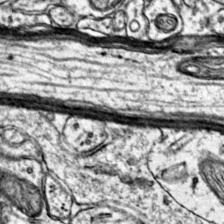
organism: Mouse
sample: Primary visual cortex